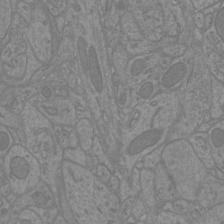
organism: Mouse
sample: Cortical neurons